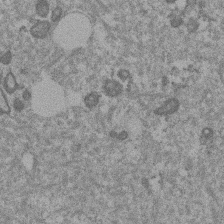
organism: Mouse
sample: Dividing mouse embryo 1 cell stage